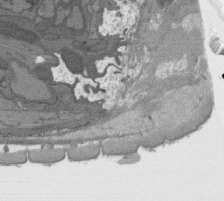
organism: C. elegans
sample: AFD neurons C. elegans